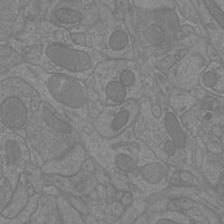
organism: Mouse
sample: Cortical neurons